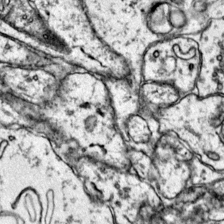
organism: Mouse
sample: Primary visual cortex